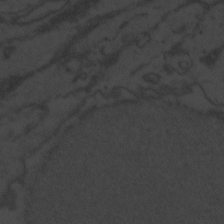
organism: Zebrafish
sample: Macrophage infected with Toxoplasma gondii